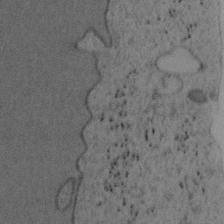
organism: Human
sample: HeLa cells